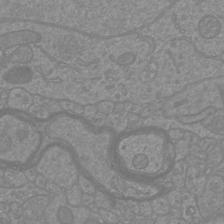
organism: Mouse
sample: Cortical neurons